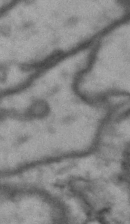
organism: Drosophila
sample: Brain